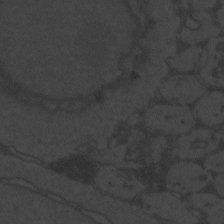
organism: Zebrafish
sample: Macrophage infected with Toxoplasma gondii